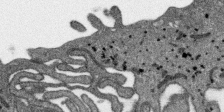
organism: Human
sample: Lung epithelial cells, uninfected (mock) control